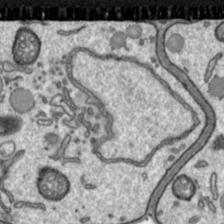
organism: Toxoplasma gondii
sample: Parasites in a vacuole inside a host cell